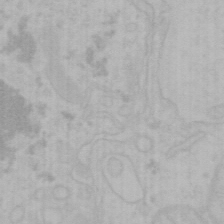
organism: Mouse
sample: Choroid plexus